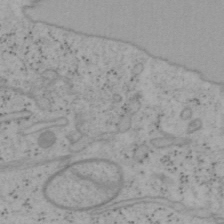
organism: Human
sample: HeLa cells